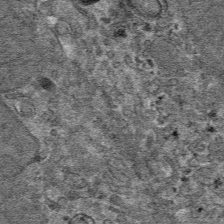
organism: Mouse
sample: Mouse hepatocytes